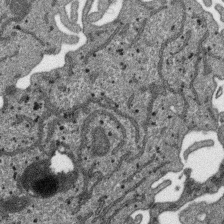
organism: Human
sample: Lung epithelial cells infected with SARS-CoV-2